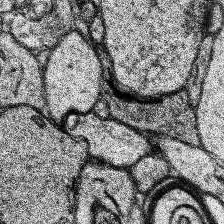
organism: Human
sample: Temporal Lobe